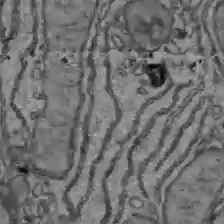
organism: C57BL Mouse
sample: Liver